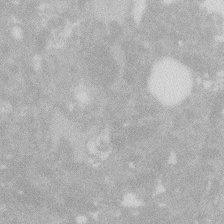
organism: Zebrafish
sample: Macrophage